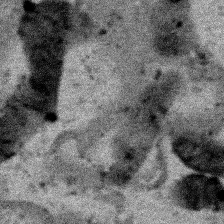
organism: Human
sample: Mitochondria in HCT116 cells